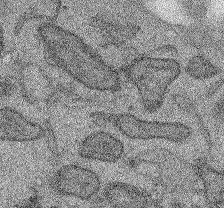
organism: Human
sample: HeLa cells